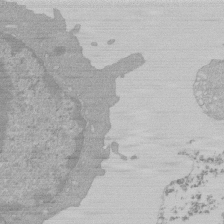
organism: Mouse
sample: Activated Pmel transgenic CD8+ T Cells